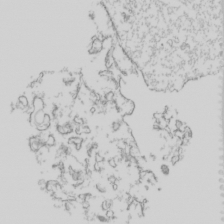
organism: Mouse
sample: Cilia; mouse epididymis